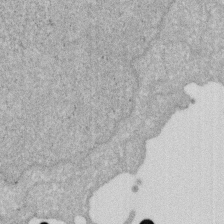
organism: Human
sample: HIV infected U937 cells